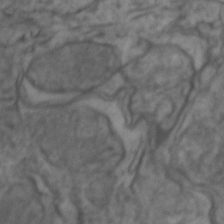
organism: Zebrafish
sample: Zebrafish embryo